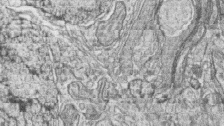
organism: Zebrafish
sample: synaptic ribbons in rod cells and cone cells